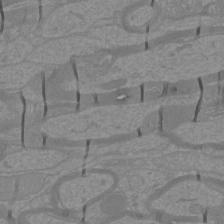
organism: Mouse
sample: Cortical neurons